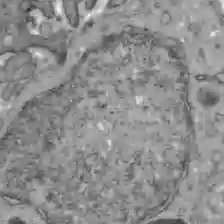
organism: C57BL Mouse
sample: Liver